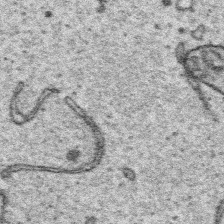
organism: Platynereis dumerilii